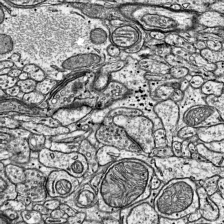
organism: Mouse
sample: Visual Cortex